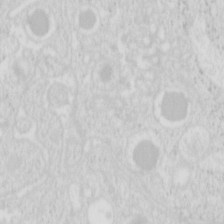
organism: Mouse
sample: Pancreas